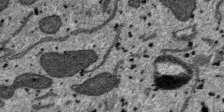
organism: Human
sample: Lung epithelial cells, uninfected (mock) control